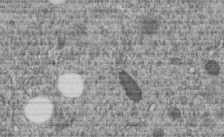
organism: C. elegans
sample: C. elegans embryo early stage